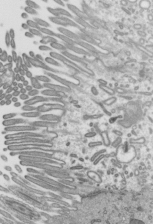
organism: Mouse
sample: Mouse epididymis efferent ductule cilia